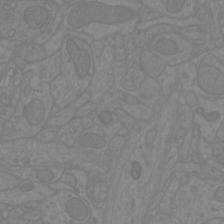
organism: Mouse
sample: Cortical neurons